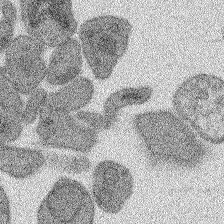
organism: Human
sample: HeLa cells